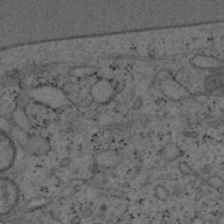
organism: Human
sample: HeLa cells